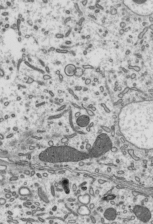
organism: Mouse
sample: Mouse epididymis efferent ductule cilia